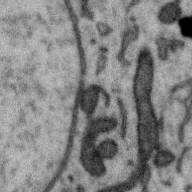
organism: Zebra finch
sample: Brain